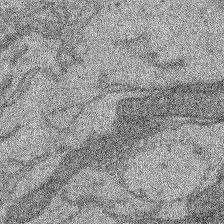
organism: Human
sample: HeLa cells